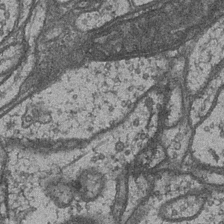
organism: Drosophila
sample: Optic medulla